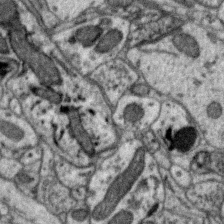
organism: Zebra finch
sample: Brain